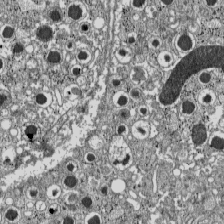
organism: C57BL Mouse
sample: Pancreatic islet